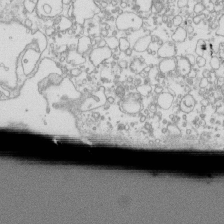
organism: Mouse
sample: Macrophages